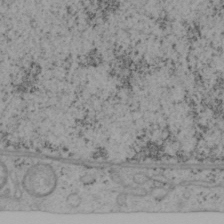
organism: Human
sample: HeLa cells